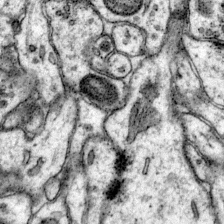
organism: Mouse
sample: Primary visual cortex